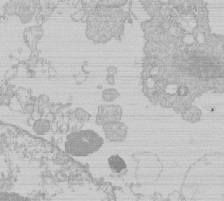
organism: Human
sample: Macrophage cells